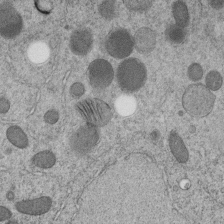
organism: C. elegans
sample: C. elegans embryo early stage